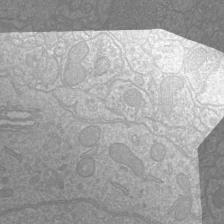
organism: Mouse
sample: Cortical neurons